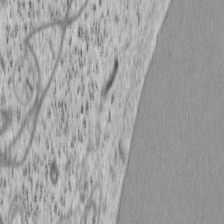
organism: Human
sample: HeLa cells